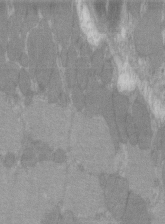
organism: C57BL Mouse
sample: Tibialis anterior muscle cell